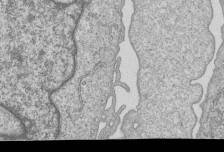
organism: Human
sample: MDA-MB-231 cells